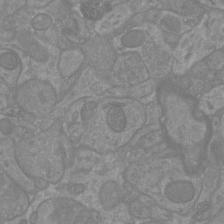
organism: Mouse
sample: Cortical neurons